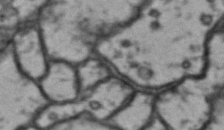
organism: Drosophila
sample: Brain